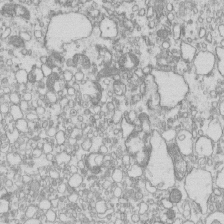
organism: Mouse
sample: Macrophages